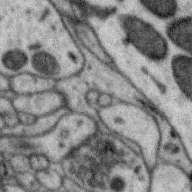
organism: Zebra finch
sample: Brain